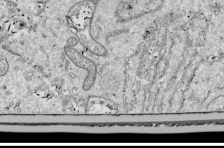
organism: Drosophila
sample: Cell division; meiosis; drosophila spermatocytes